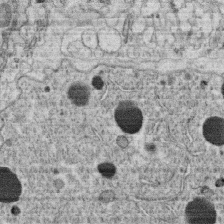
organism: C. elegans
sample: C. elegans oocyte; sperm cells